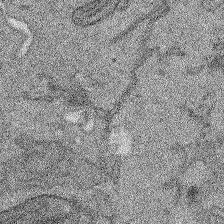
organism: Human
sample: HeLa cells